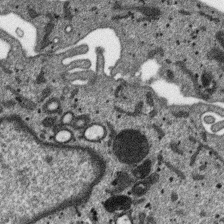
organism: Human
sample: Lung epithelial cells infected with SARS-CoV-2